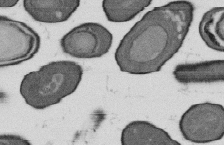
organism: B. subtilis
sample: Bacterial spore